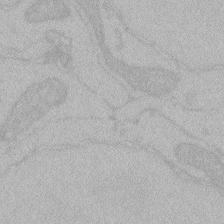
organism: Zebrafish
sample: Macrophage infected with Toxoplasma gondii